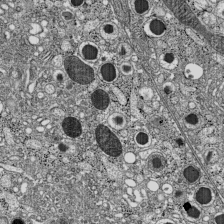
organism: C57BL Mouse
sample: Pancreatic islet